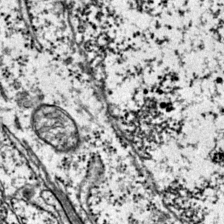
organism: Mouse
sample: Primary visual cortex